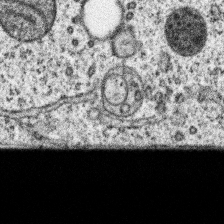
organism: Human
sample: HeLa cells